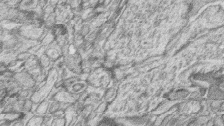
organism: Zebrafish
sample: synaptic ribbons in rod cells and cone cells